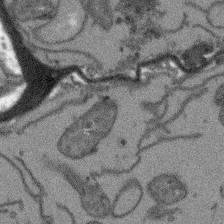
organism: Arabidopsis thaliana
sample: Root tip